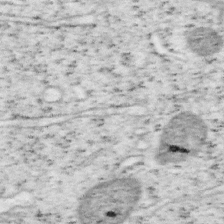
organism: Mouse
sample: OT-I killer T cells with ID8 ovarian cancer cells